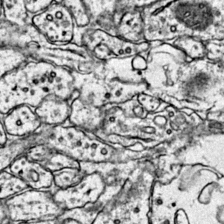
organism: Mouse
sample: Primary visual cortex